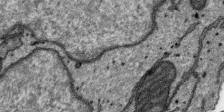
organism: Human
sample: Lung epithelial cells, uninfected (mock) control